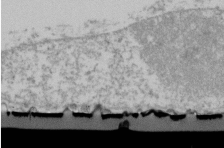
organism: Human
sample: U2-OS cells